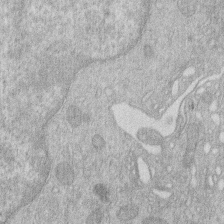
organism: Human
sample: Macrophage cells